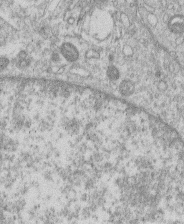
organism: Human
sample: Macrophage cells